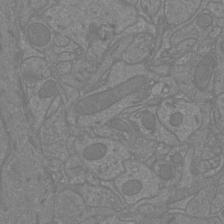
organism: Mouse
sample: Cortical neurons